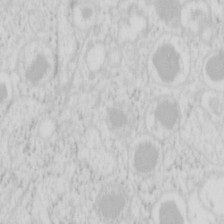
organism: Mouse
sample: Pancreas